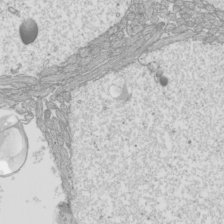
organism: Mouse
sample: Cilia; mouse epididymis